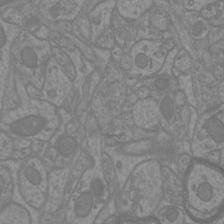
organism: Mouse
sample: Cortical neurons